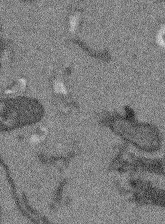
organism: Arabidopsis thaliana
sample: Root tip